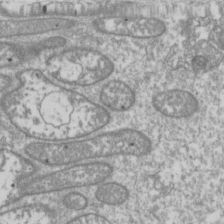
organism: Drosophila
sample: Cell division; meiosis; drosophila spermatocytes